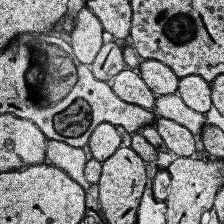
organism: Human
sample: Temporal Lobe